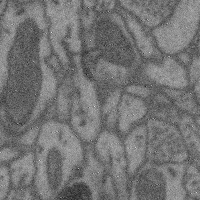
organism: Mouse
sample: Cerebral cortex